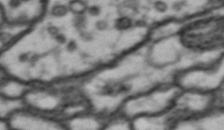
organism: Drosophila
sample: Brain